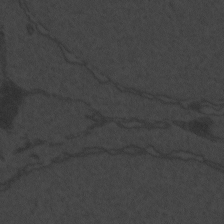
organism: Zebrafish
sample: Macrophage infected with Toxoplasma gondii